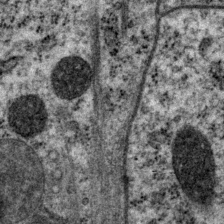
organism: P. pacificus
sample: Pharynx